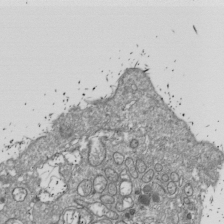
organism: Drosophila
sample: Cell division; meiosis; drosophila spermatocytes